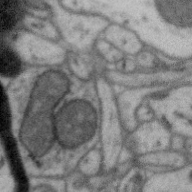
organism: Zebra finch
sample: Brain